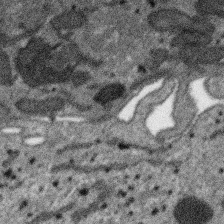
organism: Human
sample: Lung epithelial cells infected with SARS-CoV-2